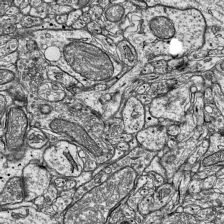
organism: Mouse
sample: Visual Cortex